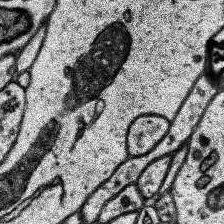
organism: Human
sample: Temporal Lobe